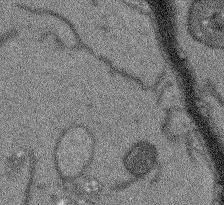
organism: Arabidopsis thaliana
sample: Root tip